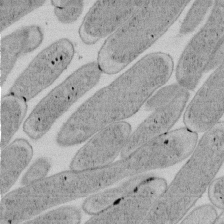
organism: E. coli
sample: Bacterial nucleoid